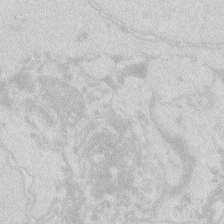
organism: Zebrafish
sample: Macrophage